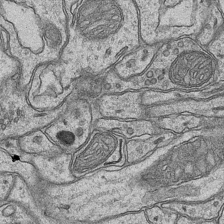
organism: Mouse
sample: CA1 Hippocampus